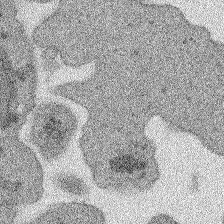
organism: Human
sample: HeLa cells